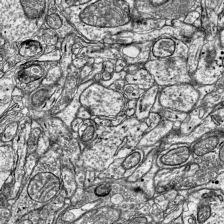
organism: Mouse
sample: Visual Cortex